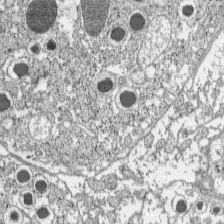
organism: C57BL Mouse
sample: Pancreatic islet